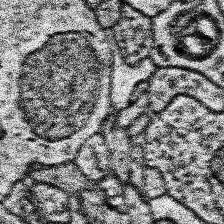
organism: Human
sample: Temporal Lobe